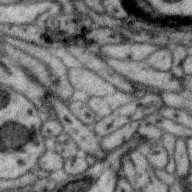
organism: Zebra finch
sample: Brain